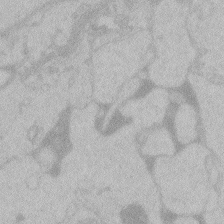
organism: Zebrafish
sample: Macrophage infected with Toxoplasma gondii